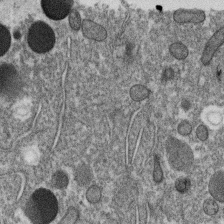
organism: C. elegans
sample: C. elegans oocyte; sperm cells